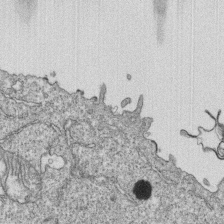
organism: Human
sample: HeLa cell HIV synapse